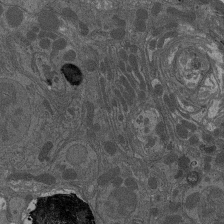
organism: Drosophila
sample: Antenna